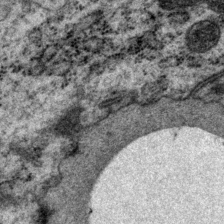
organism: P. pacificus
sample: Pharynx